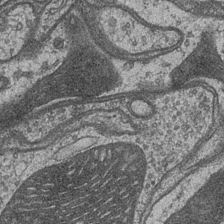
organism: Drosophila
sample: Optic medulla